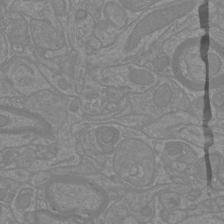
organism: Mouse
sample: Cortical neurons